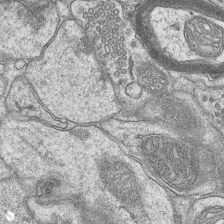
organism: Mouse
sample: CA1 Hippocampus